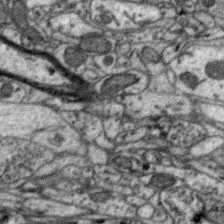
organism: Zebra finch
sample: Brain